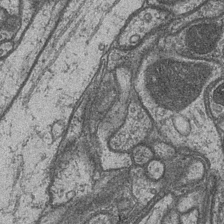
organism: Drosophila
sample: Optic medulla